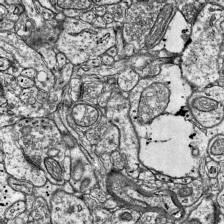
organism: Mouse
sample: Visual Cortex